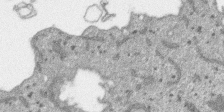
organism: Human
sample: Lung epithelial cells infected with SARS-CoV-2